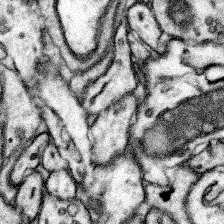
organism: Mouse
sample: Somatosensory cortex neuropil